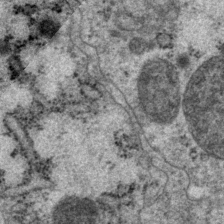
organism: P. pacificus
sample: Pharynx